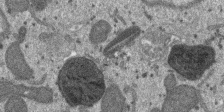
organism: Human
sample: Lung epithelial cells infected with SARS-CoV-2